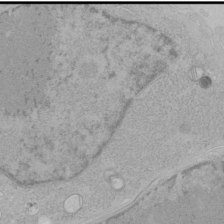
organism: Human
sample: Mitochondria in HCT116 cells